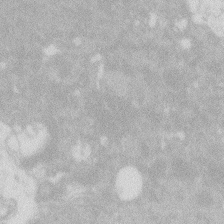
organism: Zebrafish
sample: Macrophage